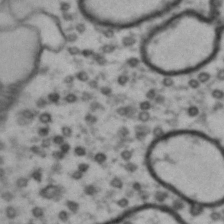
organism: Drosophila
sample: Brain